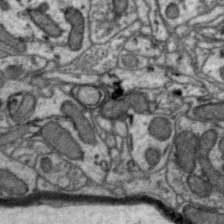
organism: Zebra finch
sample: Brain